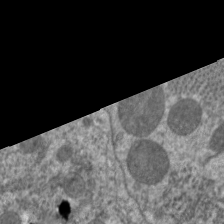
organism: C. elegans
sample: Pharynx